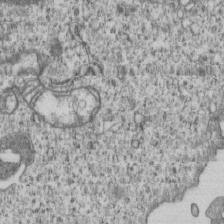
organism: Human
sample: MDA-MB-231 cells